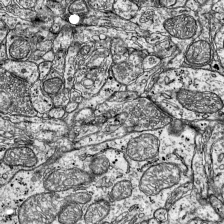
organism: Mouse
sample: Visual Cortex